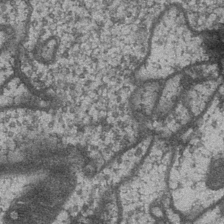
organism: Drosophila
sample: Optic medulla